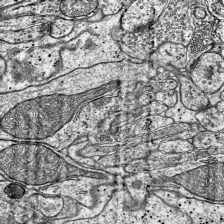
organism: Mouse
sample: Visual Cortex